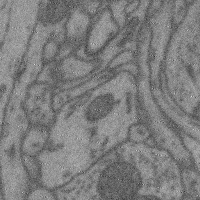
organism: Mouse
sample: Cerebral cortex